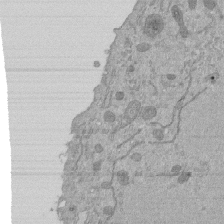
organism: Mouse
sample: ED-1 cell nuclei; centrioles